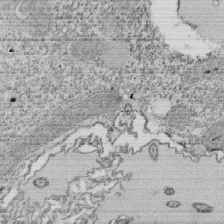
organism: Tetrahymena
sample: Cilia in tetrahymena